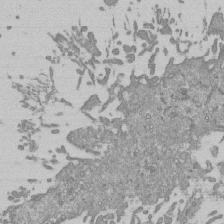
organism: Mouse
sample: ED-1 cell nuclei; centrioles